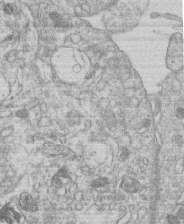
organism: Human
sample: Macrophage cells